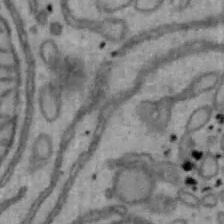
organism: Mouse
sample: Liver